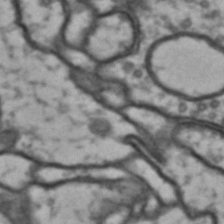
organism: Drosophila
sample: Brain